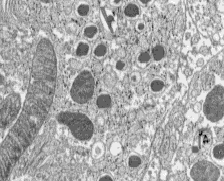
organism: C57BL Mouse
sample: Pancreatic islet